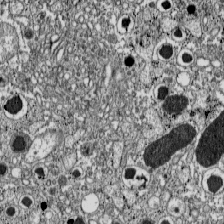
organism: C57BL Mouse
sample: Pancreatic islet